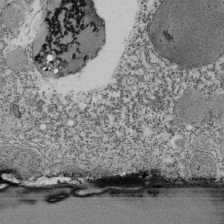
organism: Tetrahymena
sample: Cilia in tetrahymena